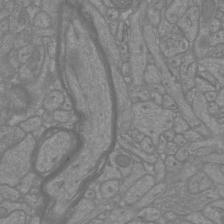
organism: Mouse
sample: Cortical neurons